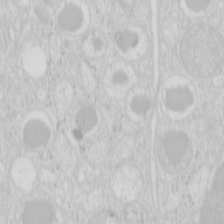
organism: Mouse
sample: Pancreas